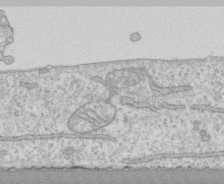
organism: Human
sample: CRL-1474